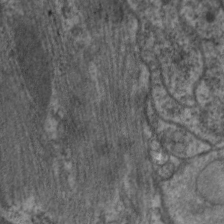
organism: C. elegans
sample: Pharynx